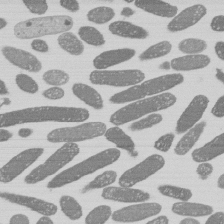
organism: E. coli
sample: Bacterial nucleoid